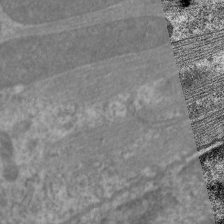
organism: C. elegans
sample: Pharynx